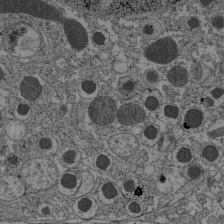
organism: C57BL Mouse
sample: Pancreatic islet